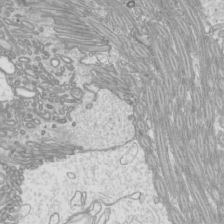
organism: Mouse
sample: Cilia; mouse epididymis